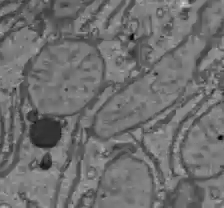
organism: C57BL Mouse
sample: Liver